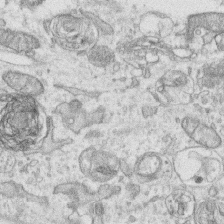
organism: Human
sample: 1205lu cells